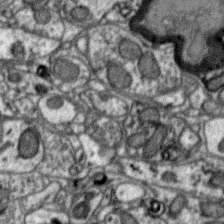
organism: Zebra finch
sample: Brain